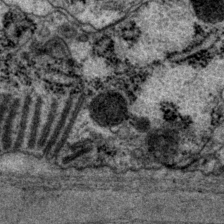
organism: P. pacificus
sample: Pharynx